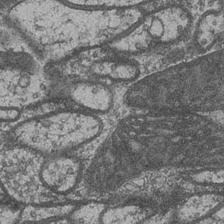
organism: Drosophila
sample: Optic medulla